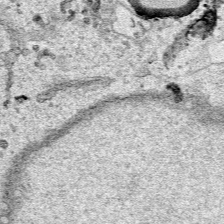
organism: Human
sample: Mitochondria in HCT116 cells